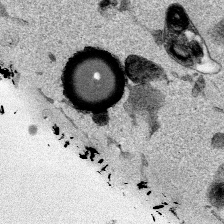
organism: Mouse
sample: Cancer cell death in ED-1 cells